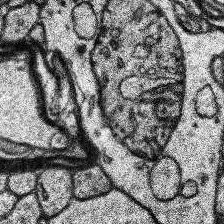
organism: Human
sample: Temporal Lobe